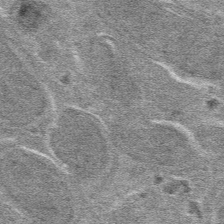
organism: Mouse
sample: Mouse hepatocytes